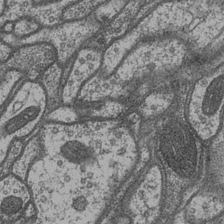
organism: Drosophila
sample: Optic medulla